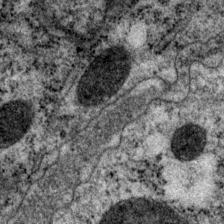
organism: P. pacificus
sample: Pharynx